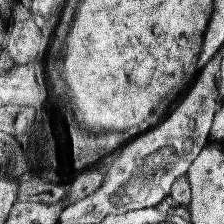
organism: Human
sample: Temporal Lobe